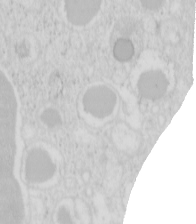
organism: Mouse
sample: Pancreas